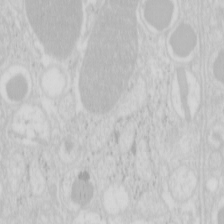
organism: Mouse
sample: Pancreas